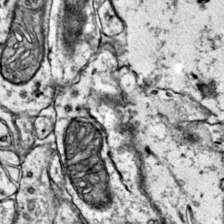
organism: Mouse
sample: Primary visual cortex